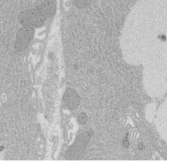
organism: Rat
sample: Salivary granule